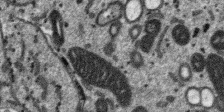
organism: Human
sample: Lung epithelial cells infected with SARS-CoV-2